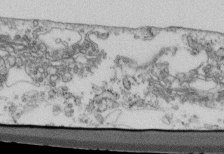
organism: Mouse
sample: Cilia; retinal pigment epithelium